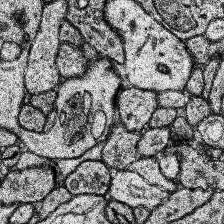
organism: Human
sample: Temporal Lobe